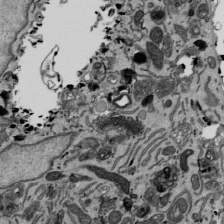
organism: Mouse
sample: ED-1 cell nuclei; centrioles